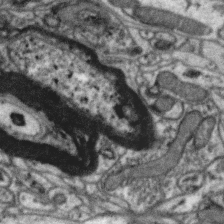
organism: Zebra finch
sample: Brain